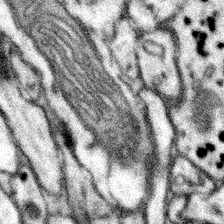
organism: Mouse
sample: Somatosensory cortex neuropil